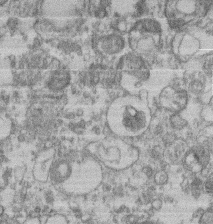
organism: Mouse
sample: T cell stromal cell synapse